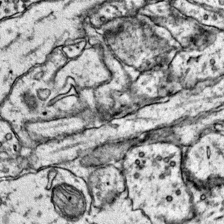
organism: Mouse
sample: Primary visual cortex